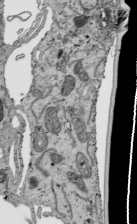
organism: Human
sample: Mitochondria in HCT116 cells